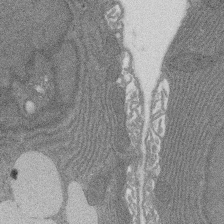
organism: Rat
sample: Salivary granule